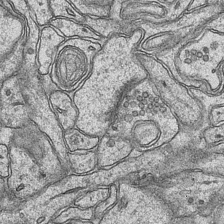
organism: Mouse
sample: CA1 Hippocampus